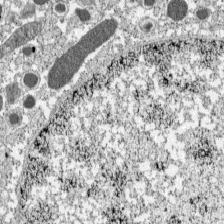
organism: C57BL Mouse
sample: Pancreatic islet